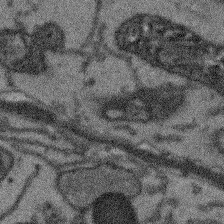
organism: Arabidopsis thaliana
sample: Root tip